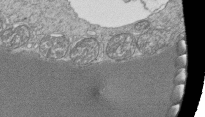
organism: Tetrahymena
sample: Cilia in tetrahymena